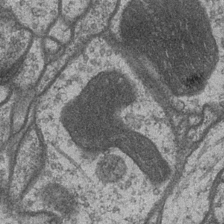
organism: Drosophila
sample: Optic medulla